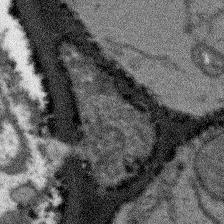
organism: Arabidopsis thaliana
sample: Root tip